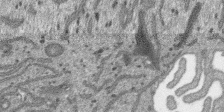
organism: Human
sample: Lung epithelial cells infected with SARS-CoV-2